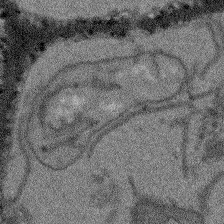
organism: Arabidopsis thaliana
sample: Root tip